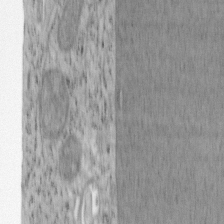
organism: Human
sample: HeLa cells